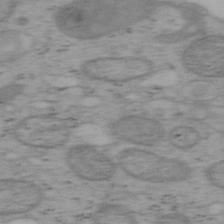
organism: Mouse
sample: OT-I killer T cells with ID8 ovarian cancer cells